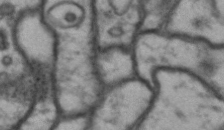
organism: Drosophila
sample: Brain